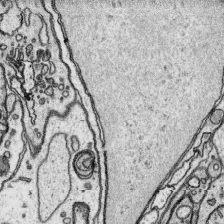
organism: Platynereis dumerilii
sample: Parapodia